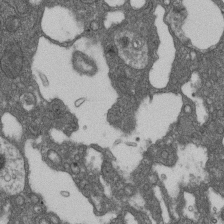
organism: Drosophila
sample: Nephrocyte